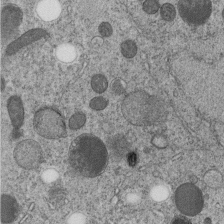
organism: C. elegans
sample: C. elegans embryo early stage